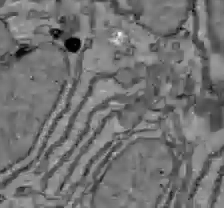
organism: C57BL Mouse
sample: Liver